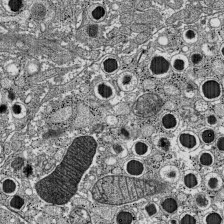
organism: C57BL Mouse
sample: Pancreatic islet